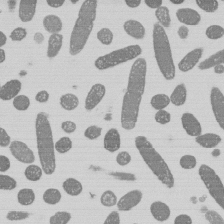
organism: E. coli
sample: Bacterial nucleoid